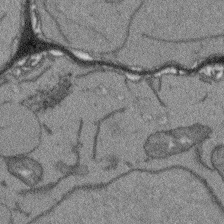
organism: Arabidopsis thaliana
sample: Root tip